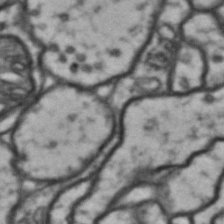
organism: Drosophila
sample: Brain